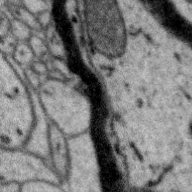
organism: Zebra finch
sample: Brain